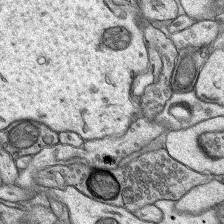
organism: Rat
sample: Hippocampus